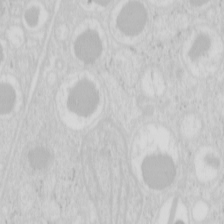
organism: Mouse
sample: Pancreas